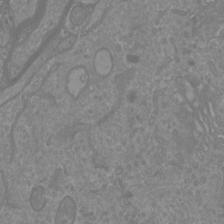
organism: Mouse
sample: Cortical neurons